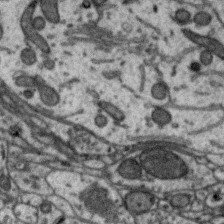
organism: Zebra finch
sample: Brain